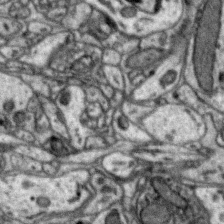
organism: Zebra finch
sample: Brain